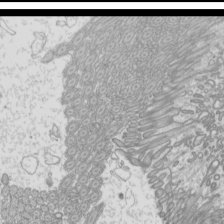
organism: Mouse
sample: Cilia; mouse epididymis